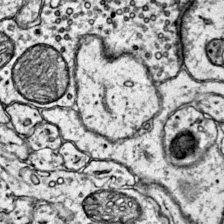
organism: Mouse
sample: Primary visual cortex